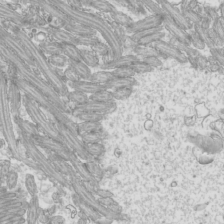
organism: Mouse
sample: Cilia; mouse epididymis